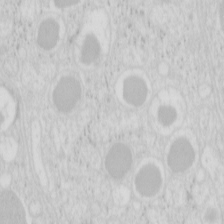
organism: Mouse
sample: Pancreas